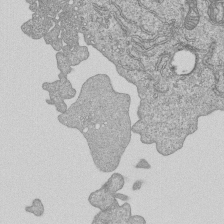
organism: Human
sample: MDA-MB-231 cells